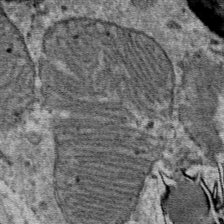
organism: Mouse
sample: Mouse Salivary gland